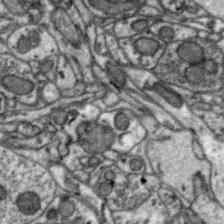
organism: Zebra finch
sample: Brain